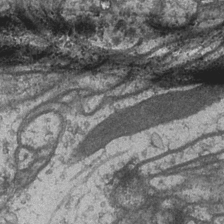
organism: Drosophila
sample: Optic medulla